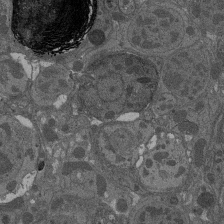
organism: Drosophila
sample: Antenna